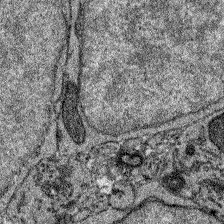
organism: Zebrafish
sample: Larval olfactory bulb